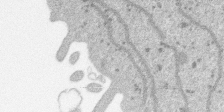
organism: Human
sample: Lung epithelial cells infected with SARS-CoV-2